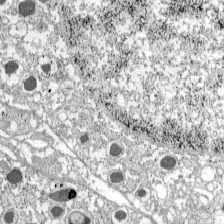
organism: C57BL Mouse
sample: Pancreatic islet